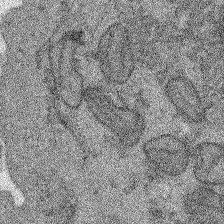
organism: Human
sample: HeLa cells